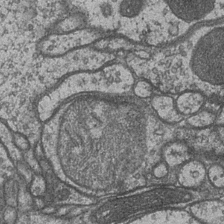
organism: Drosophila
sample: Optic medulla